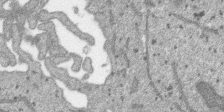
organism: Human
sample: Lung epithelial cells infected with SARS-CoV-2